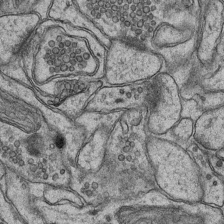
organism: Mouse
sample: CA1 Hippocampus